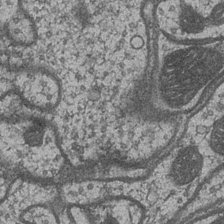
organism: Drosophila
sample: Optic medulla